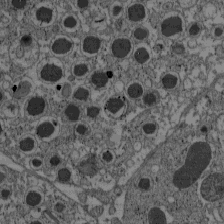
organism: C57BL Mouse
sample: Pancreatic islet